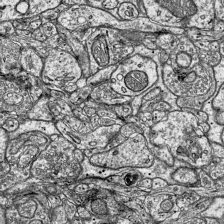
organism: Mouse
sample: Visual Cortex